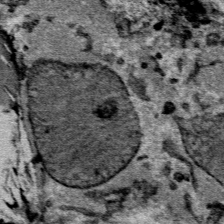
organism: Mouse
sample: Mouse Salivary gland